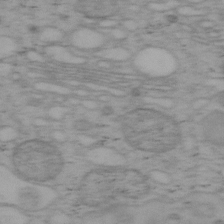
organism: Mouse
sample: OT-I killer T cells with ID8 ovarian cancer cells